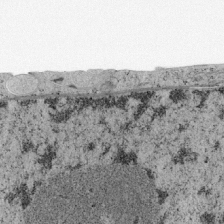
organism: Human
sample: HeLa cells